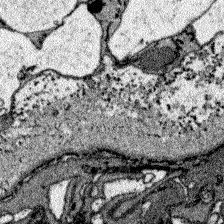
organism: Zebrafish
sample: Larval olfactory bulb